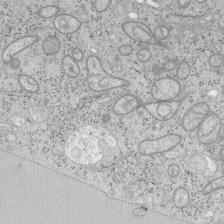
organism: Mouse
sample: OT-I killer T cells with ID8 ovarian cancer cells